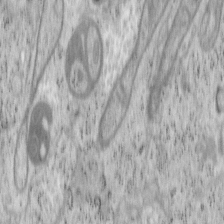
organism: Human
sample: HeLa cells